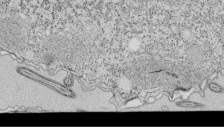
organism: Tetrahymena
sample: Cilia in tetrahymena